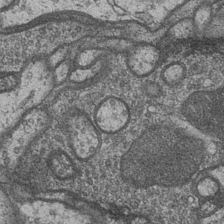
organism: Drosophila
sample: Optic medulla